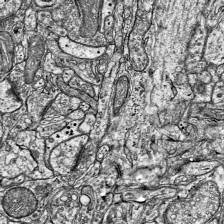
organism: Mouse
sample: Visual Cortex